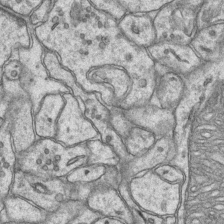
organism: Mouse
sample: CA1 Hippocampus